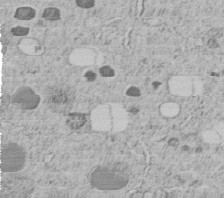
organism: C. elegans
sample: C. elegans embryo early stage